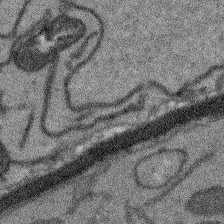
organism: Arabidopsis thaliana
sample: Root tip